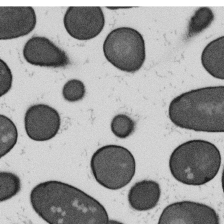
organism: B. subtilis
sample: Bacterial spore